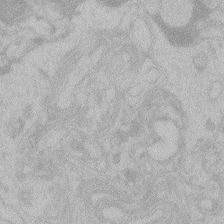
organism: Zebrafish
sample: Macrophage infected with Toxoplasma gondii